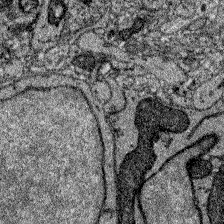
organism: Zebrafish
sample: Larval olfactory bulb